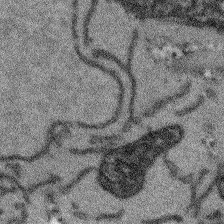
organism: Arabidopsis thaliana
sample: Root tip